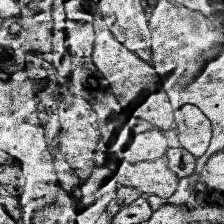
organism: Human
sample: Temporal Lobe